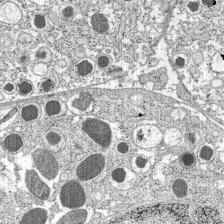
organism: C57BL Mouse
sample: Pancreatic islet